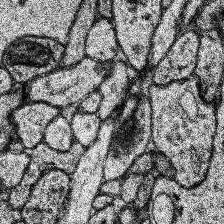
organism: Human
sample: Temporal Lobe